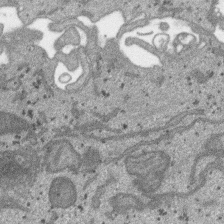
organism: Human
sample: Lung epithelial cells infected with SARS-CoV-2